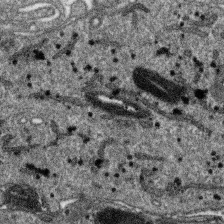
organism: Human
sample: Lung epithelial cells infected with SARS-CoV-2